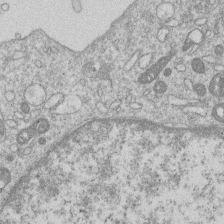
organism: Human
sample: Macrophage cells